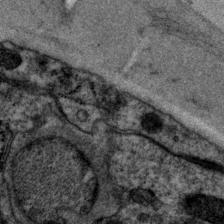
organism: P. pacificus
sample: Pharynx